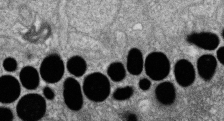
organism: Zebrafish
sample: Cilia; retinal pigment epithelium